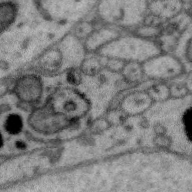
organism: Zebra finch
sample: Brain